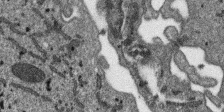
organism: Human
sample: Lung epithelial cells infected with SARS-CoV-2